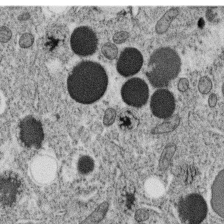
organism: C. elegans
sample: C. elegans oocyte; sperm cells